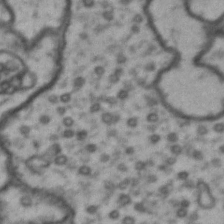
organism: Drosophila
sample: Brain